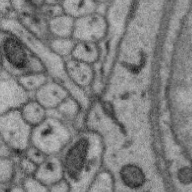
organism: Zebra finch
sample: Brain